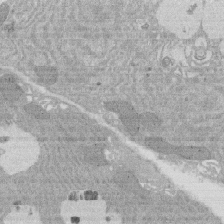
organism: Rat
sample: Salivary granule